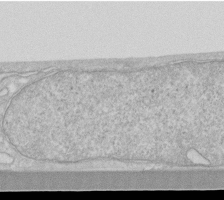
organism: Human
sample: Fibroblast cells